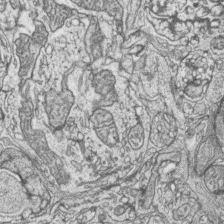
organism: Zebrafish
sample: synaptic ribbons in rod cells and cone cells